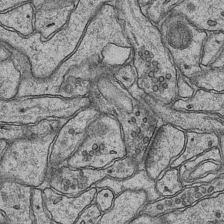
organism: Mouse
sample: CA1 Hippocampus